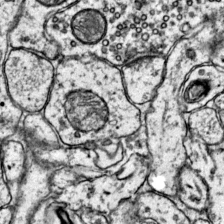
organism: Mouse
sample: Primary visual cortex